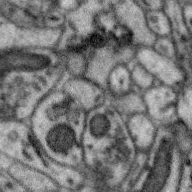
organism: Zebra finch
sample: Brain